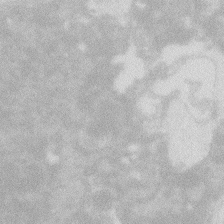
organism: Zebrafish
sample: Macrophage